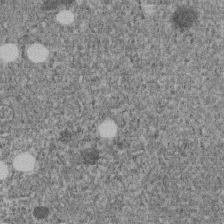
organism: C. elegans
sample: C. elegans embryo early stage